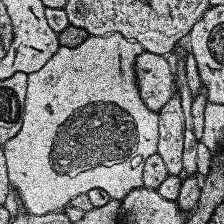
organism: Human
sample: Temporal Lobe